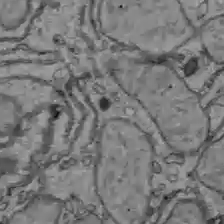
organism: C57BL Mouse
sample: Liver